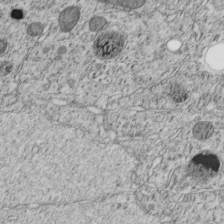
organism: C. elegans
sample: C. elegans embryo early stage